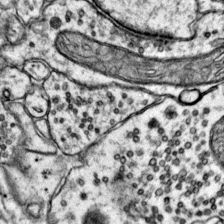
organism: Mouse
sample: Primary visual cortex